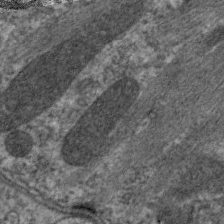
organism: C. elegans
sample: Pharynx